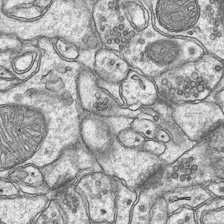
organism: Mouse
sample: CA1 Hippocampus